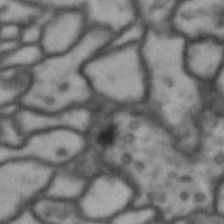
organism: Drosophila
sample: Brain